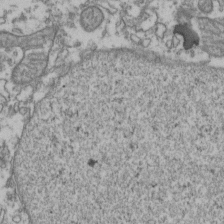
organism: Human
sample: Activated Jurkat CD4+ T cells